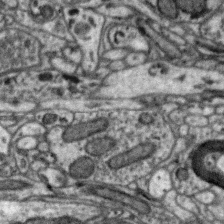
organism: Zebra finch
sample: Brain